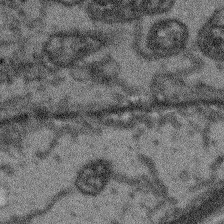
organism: Arabidopsis thaliana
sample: Root tip